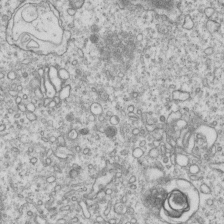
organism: Human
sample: MDA-MB-231 cells